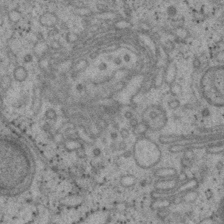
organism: Human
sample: HeLa cells